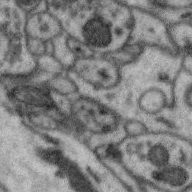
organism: Zebra finch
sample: Brain